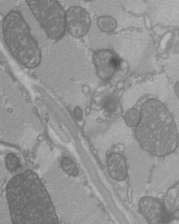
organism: C57BL Mouse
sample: Heart